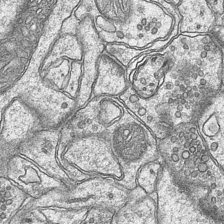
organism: Mouse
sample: CA1 Hippocampus